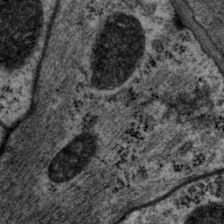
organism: P. pacificus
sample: Pharynx